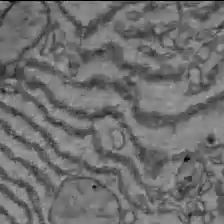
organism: C57BL Mouse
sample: Liver